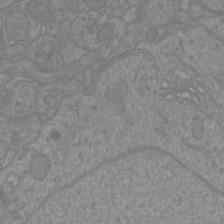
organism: Mouse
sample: Cortical neurons